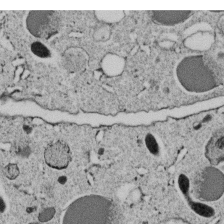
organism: C. elegans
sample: C. elegans embryo early stage